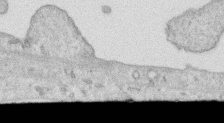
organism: Human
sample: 1205lu cells